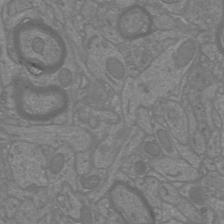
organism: Mouse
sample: Cortical neurons